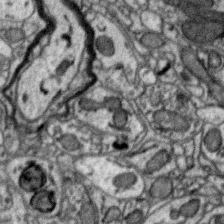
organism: Zebra finch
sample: Brain